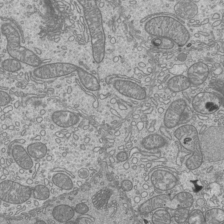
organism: Mouse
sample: Cilia; mouse epididymis